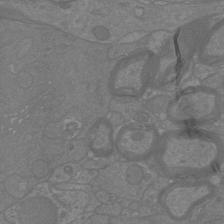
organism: Mouse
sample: Cortical neurons